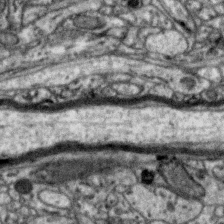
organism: Zebra finch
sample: Brain